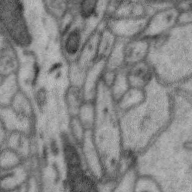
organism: Zebra finch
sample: Brain